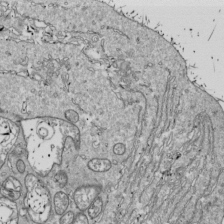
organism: Drosophila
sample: Cell division; meiosis; drosophila spermatocytes